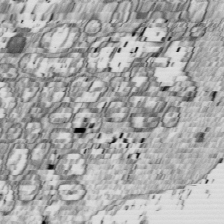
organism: Drosophila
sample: Cell division; meiosis; drosophila spermatocytes